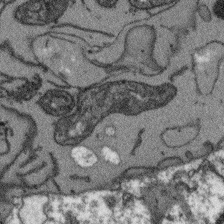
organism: Arabidopsis thaliana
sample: Root tip